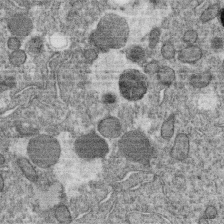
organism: C. elegans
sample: C. elegans oocyte; sperm cells